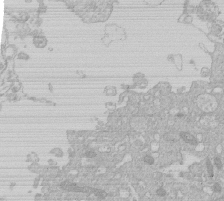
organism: Human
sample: Macrophage cells